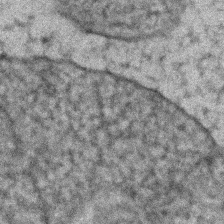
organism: Zebrafish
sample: Zebrafish embryo